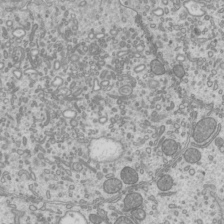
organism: Mouse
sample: Cilia; mouse epididymis